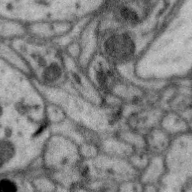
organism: Zebra finch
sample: Brain